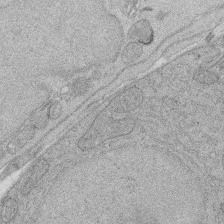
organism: Rat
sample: Salivary granule